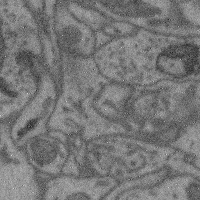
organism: Mouse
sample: Cerebral cortex